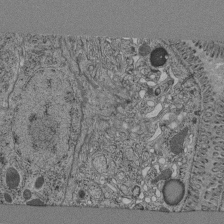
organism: C. elegans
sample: C. elegans pharynx